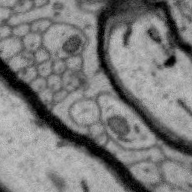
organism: Zebra finch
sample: Brain